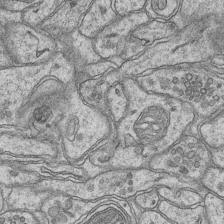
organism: Mouse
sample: CA1 Hippocampus